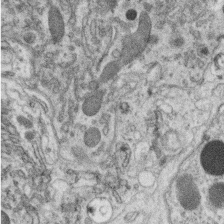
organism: C. elegans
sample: C. elegans oocyte; sperm cells